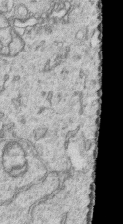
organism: Human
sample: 1205lu cells